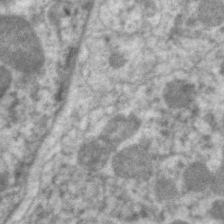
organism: C. elegans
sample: Pharynx